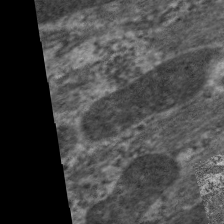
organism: C. elegans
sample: Pharynx